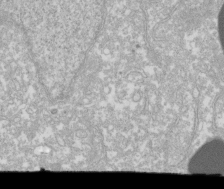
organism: Xenopus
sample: Cilia; centrioles in frog embryo cells